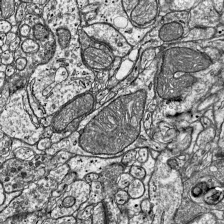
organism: Mouse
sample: Visual Cortex